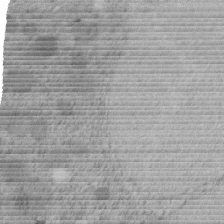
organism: C. elegans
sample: C. elegans embryo early stage